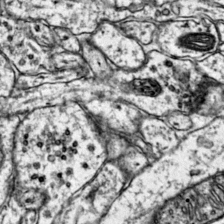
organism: Mouse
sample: Primary visual cortex